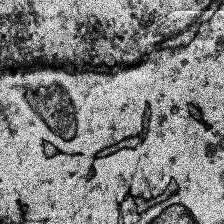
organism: Human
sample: Temporal Lobe